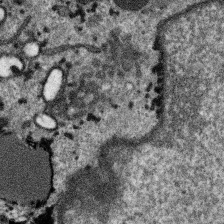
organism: Human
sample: Lung epithelial cells infected with SARS-CoV-2